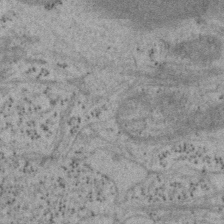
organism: Human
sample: HeLa cells